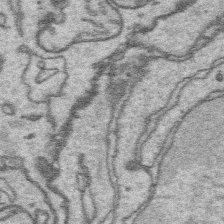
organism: Platynereis dumerilii